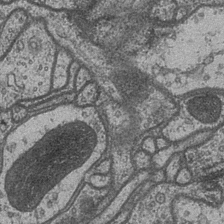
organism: Drosophila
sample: Optic medulla